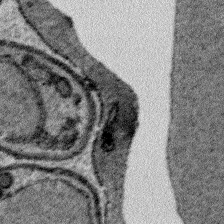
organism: Plasmodium falciparum